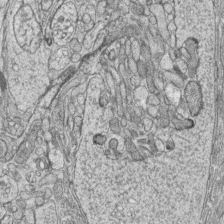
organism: Zebrafish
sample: synaptic ribbons in rod cells and cone cells